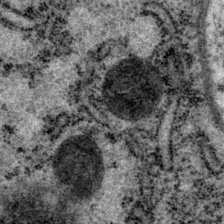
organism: P. pacificus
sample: Pharynx